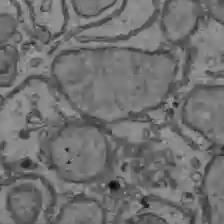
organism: C57BL Mouse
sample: Liver